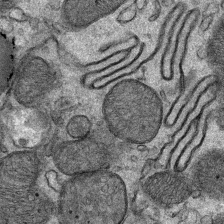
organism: Mouse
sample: Mouse Salivary gland